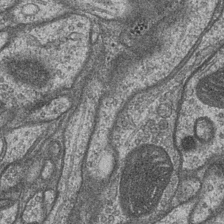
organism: Drosophila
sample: Optic medulla